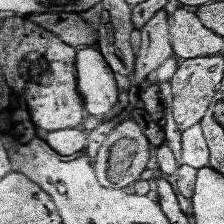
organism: Human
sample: Temporal Lobe